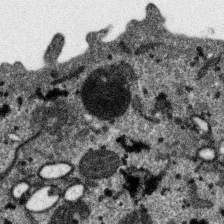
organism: Human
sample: Lung epithelial cells infected with SARS-CoV-2